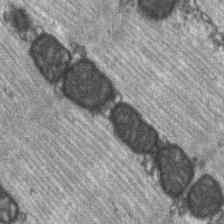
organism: C57BL Mouse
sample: Soleus